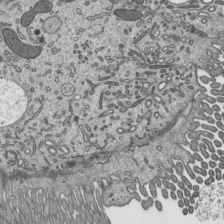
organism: Mouse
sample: Mouse epididymis efferent ductule cilia